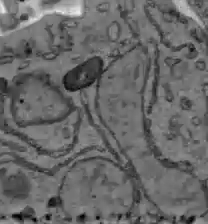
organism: C57BL Mouse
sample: Liver